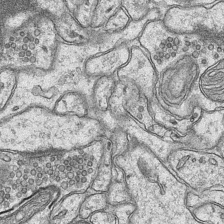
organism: Mouse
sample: CA1 Hippocampus